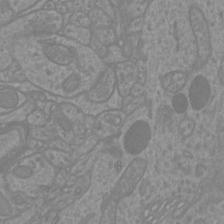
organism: Mouse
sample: Cortical neurons